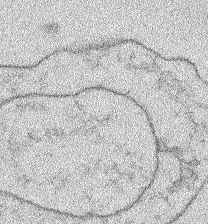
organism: Human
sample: HeLa cells